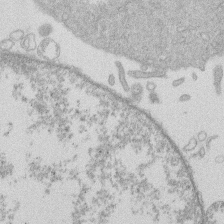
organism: Human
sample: Macrophage cells